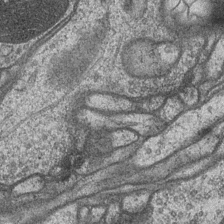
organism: Drosophila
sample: Optic medulla